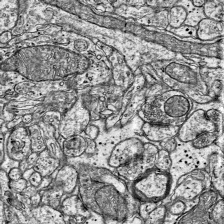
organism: Mouse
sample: Visual Cortex